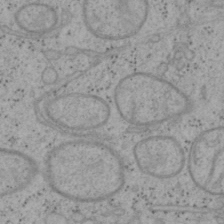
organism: Human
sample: HeLa cells